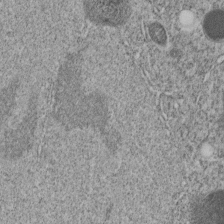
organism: C. elegans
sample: C. elegans embryo early stage